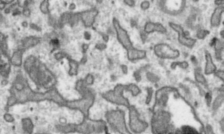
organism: Toxoplasma gondii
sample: Parasites in a vacuole inside a host cell